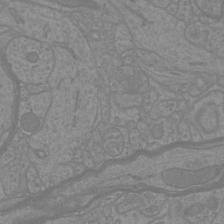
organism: Mouse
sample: Cortical neurons